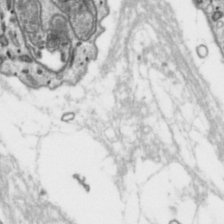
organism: Toxoplasma gondii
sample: Parasites in a vacuole inside a host cell